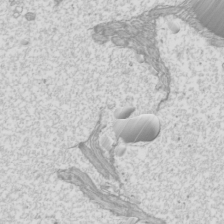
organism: Mouse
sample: Cilia; mouse epididymis